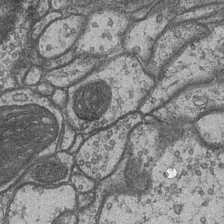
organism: Drosophila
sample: Optic medulla